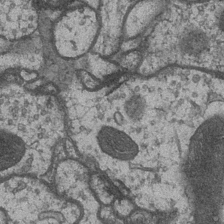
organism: Drosophila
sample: Optic medulla